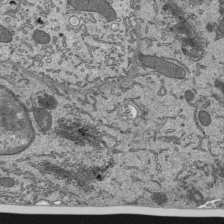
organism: Mouse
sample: Mouse epididymis efferent ductule cilia